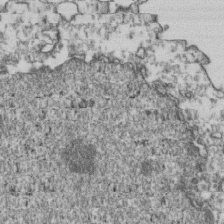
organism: Human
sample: Activated Jurkat CD4+ T cells